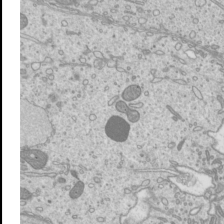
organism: Mouse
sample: Cilia; mouse epididymis